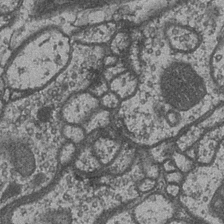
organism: Drosophila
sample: Optic medulla